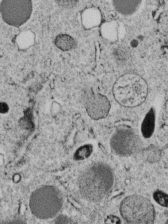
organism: C. elegans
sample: C. elegans embryo early stage